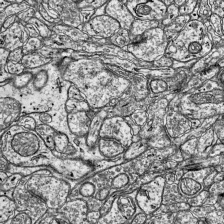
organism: Mouse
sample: Visual Cortex